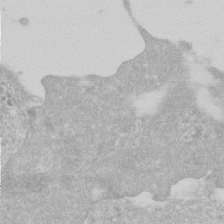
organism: Human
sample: Centriole in RPE cells